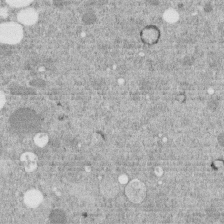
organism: C. elegans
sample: C. elegans embryo early stage